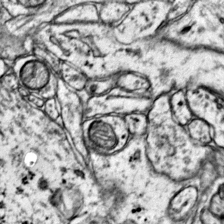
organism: Mouse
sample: Primary visual cortex